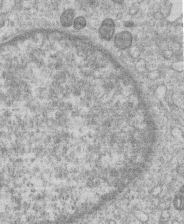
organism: Human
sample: Macrophage cells